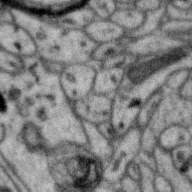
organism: Zebra finch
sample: Brain